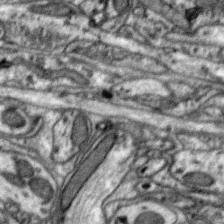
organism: Zebra finch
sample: Brain